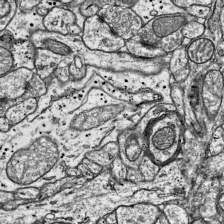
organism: Mouse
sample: Visual Cortex